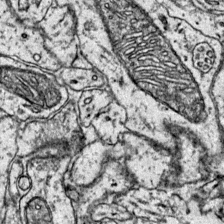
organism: Mouse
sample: Primary visual cortex